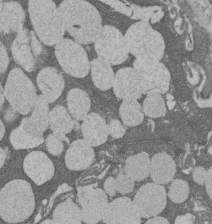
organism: Rat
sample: Salivary granule